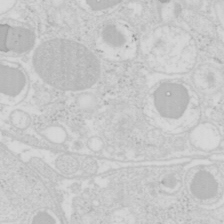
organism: Mouse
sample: Pancreas